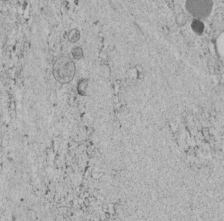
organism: C. elegans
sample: C. elegans embryo early stage